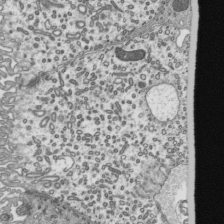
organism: Mouse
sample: Mouse epididymis efferent ductule cilia